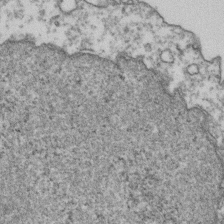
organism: Human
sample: Activated Jurkat CD4+ T cells